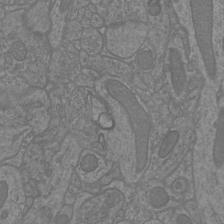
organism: Mouse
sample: Cortical neurons